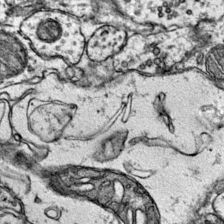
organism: Mouse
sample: Primary visual cortex